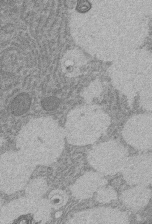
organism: Rat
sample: Salivary granule